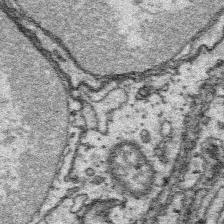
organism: Platynereis dumerilii